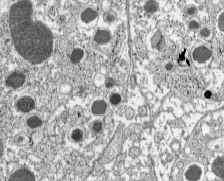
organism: C57BL Mouse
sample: Pancreatic islet